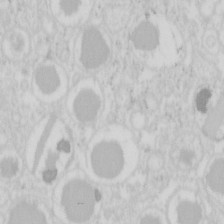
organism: Mouse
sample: Pancreas